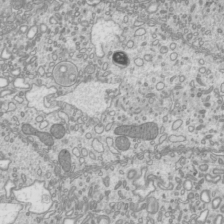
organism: Mouse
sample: Cilia; mouse epididymis